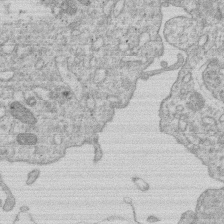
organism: Human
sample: Macrophage cells